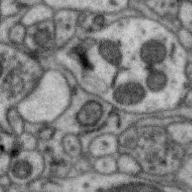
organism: Zebra finch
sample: Brain